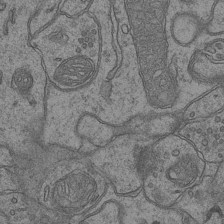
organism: Mouse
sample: CA1 Hippocampus